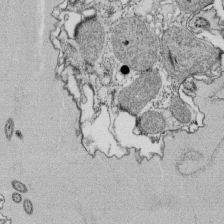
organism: Tetrahymena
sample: Cilia in tetrahymena